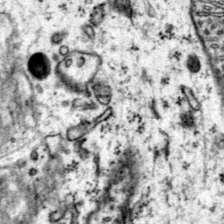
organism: Mouse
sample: Primary visual cortex